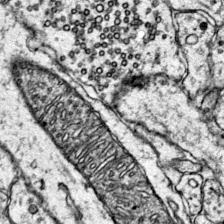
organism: Mouse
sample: Primary visual cortex